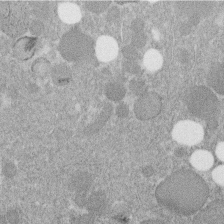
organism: C. elegans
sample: C. elegans embryo early stage